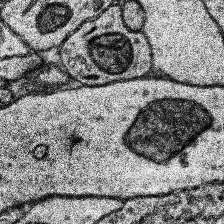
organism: Human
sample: Temporal Lobe